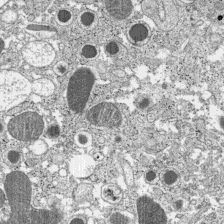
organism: C57BL Mouse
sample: Pancreatic islet